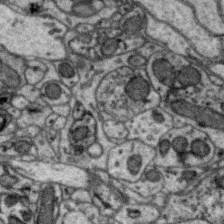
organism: Zebra finch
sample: Brain